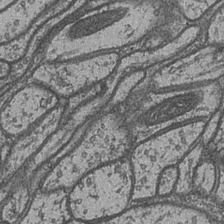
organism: Drosophila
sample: Optic medulla